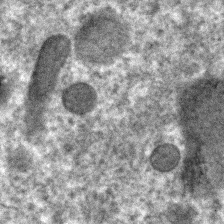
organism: C. elegans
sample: C. elegans embryo